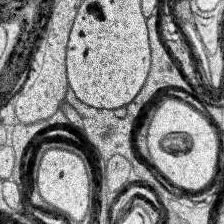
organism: Human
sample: Temporal Lobe